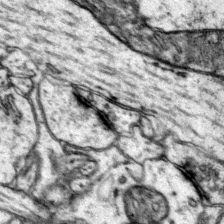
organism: Mouse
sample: Primary visual cortex